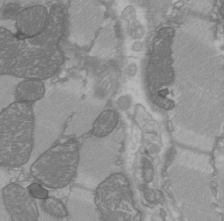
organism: C57BL Mouse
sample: Heart